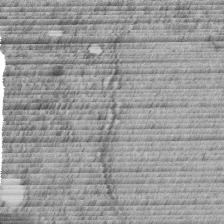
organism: C. elegans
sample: C. elegans embryo early stage